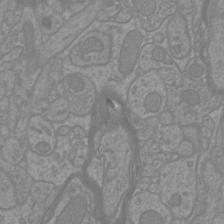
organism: Mouse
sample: Cortical neurons